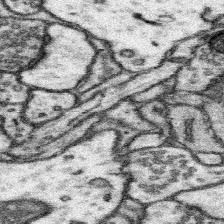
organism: Mouse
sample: Somatosensory cortex neuropil